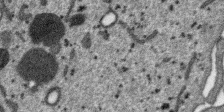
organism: Human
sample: Lung epithelial cells infected with SARS-CoV-2